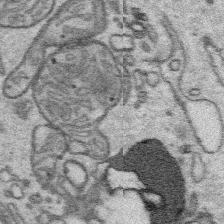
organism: Platynereis dumerilii